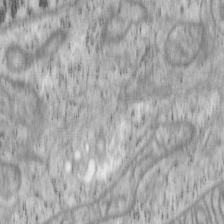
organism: Human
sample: HeLa cells